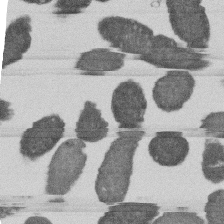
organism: E. coli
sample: Bacterial nucleoid